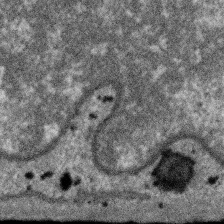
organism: Human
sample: Lung epithelial cells infected with SARS-CoV-2